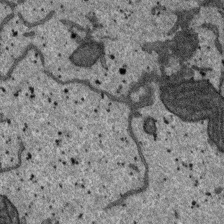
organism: Human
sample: Lung epithelial cells, uninfected (mock) control